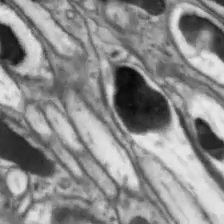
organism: Drosophila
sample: Optic lobe